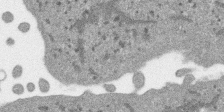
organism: Human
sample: Lung epithelial cells infected with SARS-CoV-2